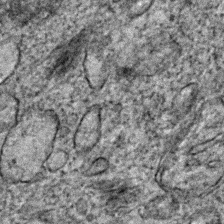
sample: Trachea